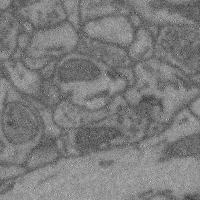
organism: Mouse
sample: Cerebral cortex